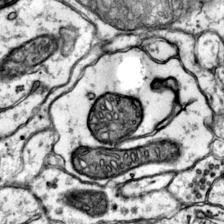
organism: Mouse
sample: Primary visual cortex